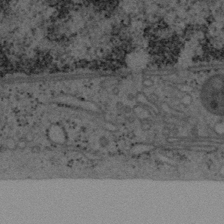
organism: Human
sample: HeLa cells